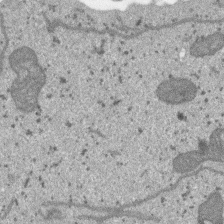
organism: Human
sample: Lung epithelial cells infected with SARS-CoV-2